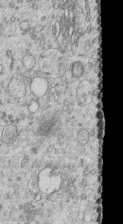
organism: Human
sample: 1205lu cells